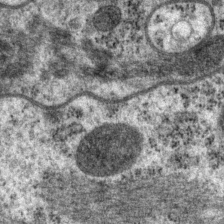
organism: P. pacificus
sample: Pharynx